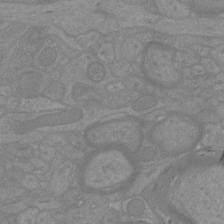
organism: Mouse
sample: Cortical neurons